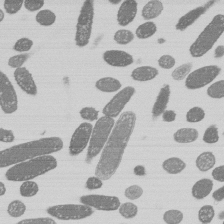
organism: E. coli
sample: Bacterial nucleoid